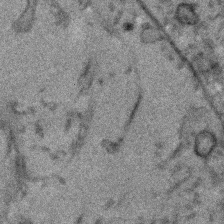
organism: Human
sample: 1205lu cells